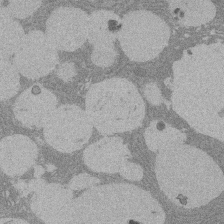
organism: Rat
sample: Salivary granule